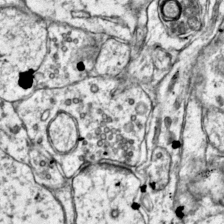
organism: Mouse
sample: Primary visual cortex